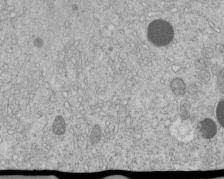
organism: C. elegans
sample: C. elegans embryo early stage